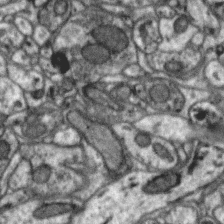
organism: Zebra finch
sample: Brain